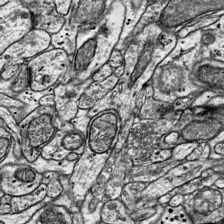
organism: Mouse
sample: Visual Cortex